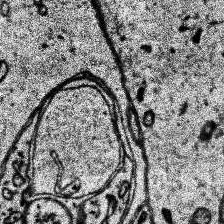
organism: Human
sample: Temporal Lobe